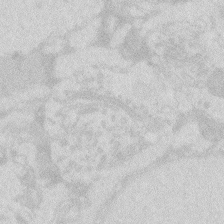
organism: Zebrafish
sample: Macrophage